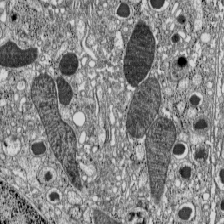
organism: C57BL Mouse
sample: Pancreatic islet